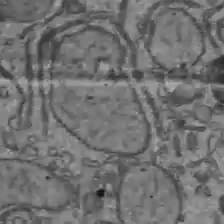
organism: C57BL Mouse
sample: Liver